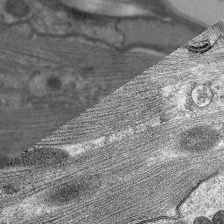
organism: C. elegans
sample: Pharynx